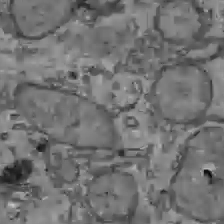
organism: C57BL Mouse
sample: Liver